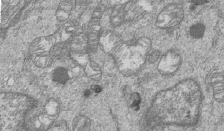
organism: Human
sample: MDA-MB-231 cells